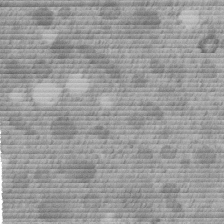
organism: C. elegans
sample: C. elegans embryo early stage